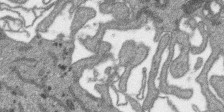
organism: Human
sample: Lung epithelial cells infected with SARS-CoV-2